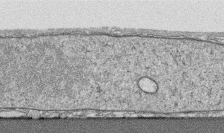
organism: Human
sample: CRL-1474